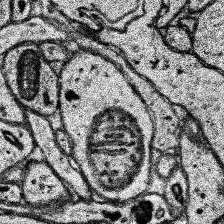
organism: Human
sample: Temporal Lobe